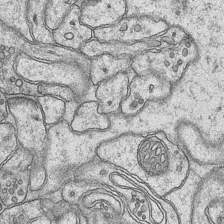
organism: Mouse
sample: CA1 Hippocampus